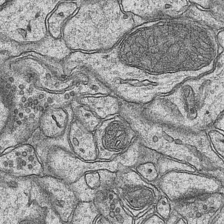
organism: Mouse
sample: CA1 Hippocampus